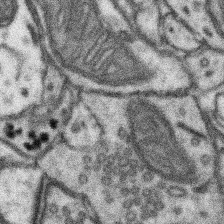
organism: Mouse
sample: Somatosensory cortex neuropil